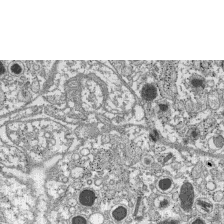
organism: C57BL Mouse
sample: Pancreatic islet